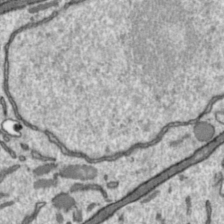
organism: Toxoplasma gondii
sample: Parasites in a vacuole inside a host cell